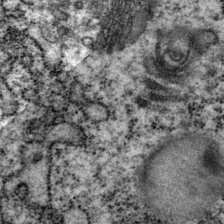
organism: P. pacificus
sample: Pharynx